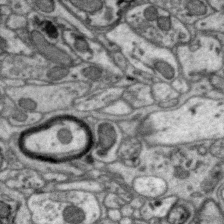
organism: Zebra finch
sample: Brain